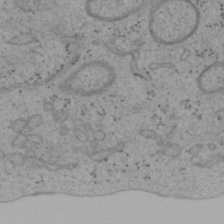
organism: Human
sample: HeLa cells